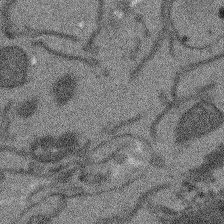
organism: Arabidopsis thaliana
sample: Root tip